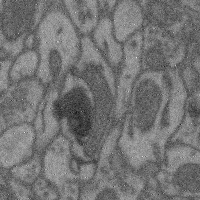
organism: Mouse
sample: Cerebral cortex